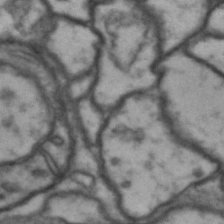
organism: Drosophila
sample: Brain